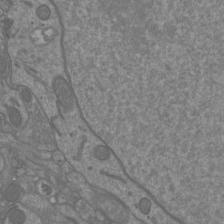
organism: Mouse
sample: Cortical neurons